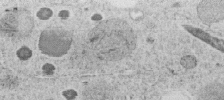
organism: C. elegans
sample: C. elegans embryo early stage